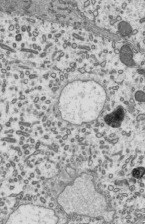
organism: Mouse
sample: Mouse epididymis efferent ductule cilia